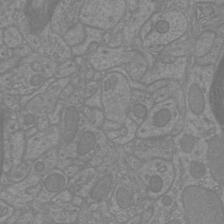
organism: Mouse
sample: Cortical neurons